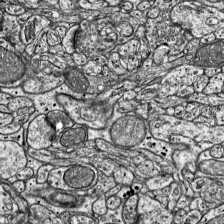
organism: Mouse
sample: Visual Cortex